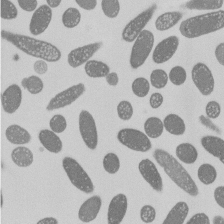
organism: E. coli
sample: Bacterial nucleoid